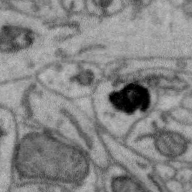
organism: Zebra finch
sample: Brain